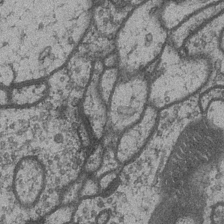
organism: Drosophila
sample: Optic medulla